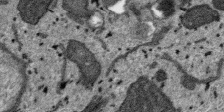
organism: Human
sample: Lung epithelial cells, uninfected (mock) control